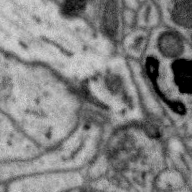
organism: Zebra finch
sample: Brain